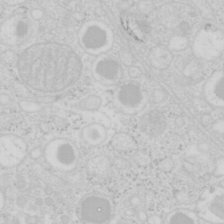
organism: Mouse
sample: Pancreas